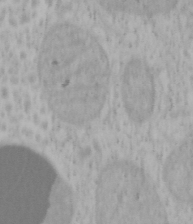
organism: Mouse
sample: OT-I killer T cells with ID8 ovarian cancer cells